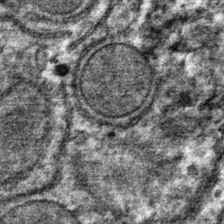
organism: Mouse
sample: Mouse hepatocytes